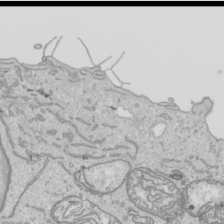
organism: Human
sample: Mitochondria in HCT116 cells